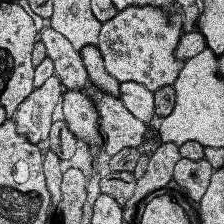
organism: Human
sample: Temporal Lobe